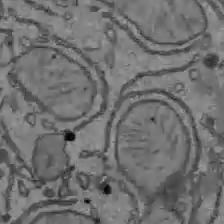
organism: C57BL Mouse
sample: Liver